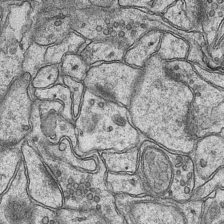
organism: Mouse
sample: CA1 Hippocampus